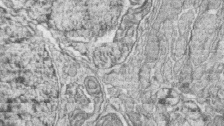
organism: Zebrafish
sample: synaptic ribbons in rod cells and cone cells